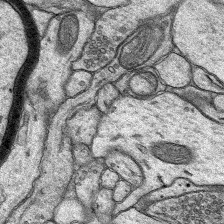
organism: Rat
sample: Hippocampus